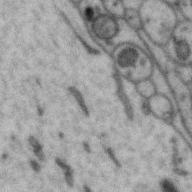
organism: Zebra finch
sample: Brain